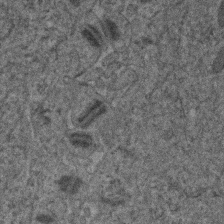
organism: Human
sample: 1205lu cells